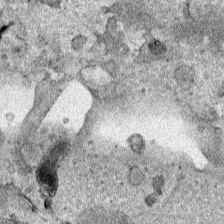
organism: Human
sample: Mitochondria in HCT116 cells